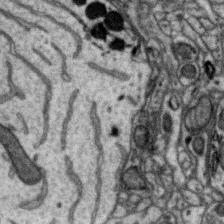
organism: Zebra finch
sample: Brain